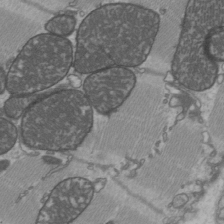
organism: C57BL Mouse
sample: Heart